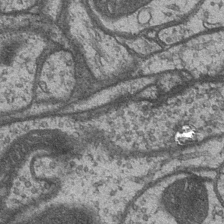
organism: Drosophila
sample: Optic medulla